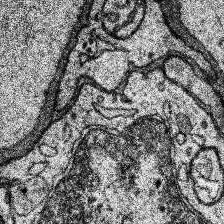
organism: Human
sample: Temporal Lobe